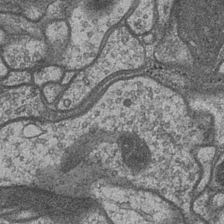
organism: Drosophila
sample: Optic medulla